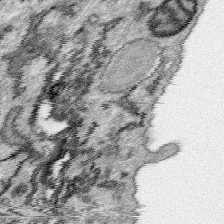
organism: Human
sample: HeLa cells